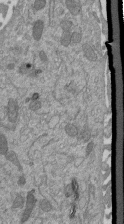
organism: Mouse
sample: ED-1 cell nuclei; centrioles